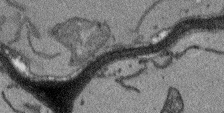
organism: Arabidopsis thaliana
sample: Root tip